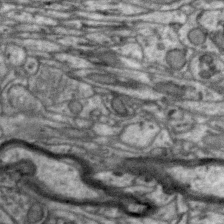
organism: Zebra finch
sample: Brain